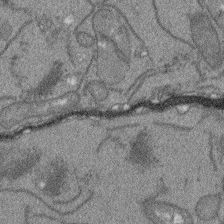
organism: Arabidopsis thaliana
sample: Root tip